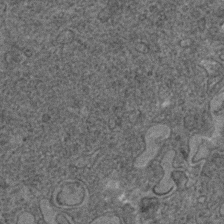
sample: Trachea